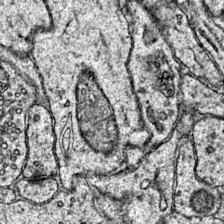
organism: Mouse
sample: Primary visual cortex